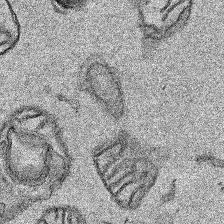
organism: Human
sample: Mitochondria in HCT116 cells